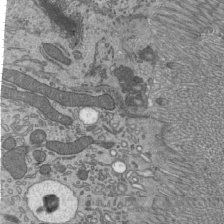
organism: Mouse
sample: Mouse epididymis efferent ductule cilia